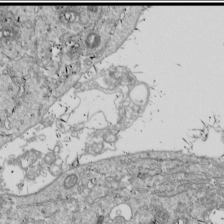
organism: Drosophila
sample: Cell division; meiosis; drosophila spermatocytes